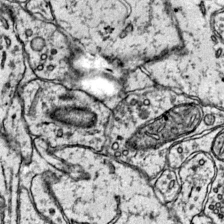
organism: Mouse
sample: Primary visual cortex